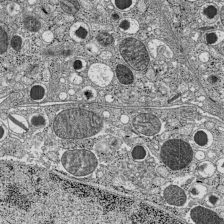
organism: C57BL Mouse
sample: Pancreatic islet